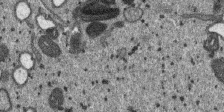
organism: Human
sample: Lung epithelial cells infected with SARS-CoV-2